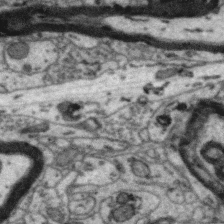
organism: Zebra finch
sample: Brain